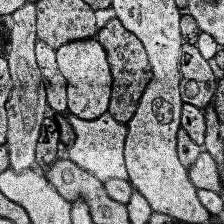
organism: Human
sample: Temporal Lobe